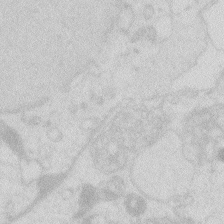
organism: Zebrafish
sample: Macrophage